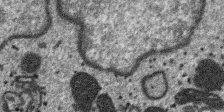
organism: Human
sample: Lung epithelial cells infected with SARS-CoV-2